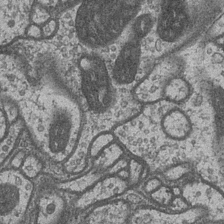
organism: Drosophila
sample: Optic medulla